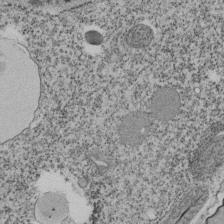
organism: Tetrahymena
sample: Cilia in tetrahymena